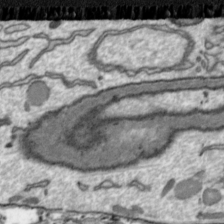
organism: Toxoplasma gondii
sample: Parasites in a vacuole inside a host cell